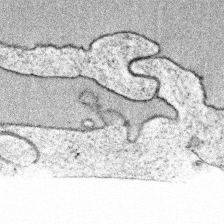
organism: Human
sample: HeLa cells